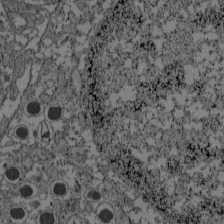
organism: C57BL Mouse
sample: Pancreatic islet